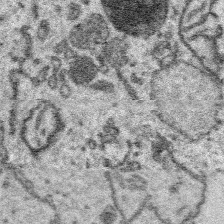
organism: Platynereis dumerilii